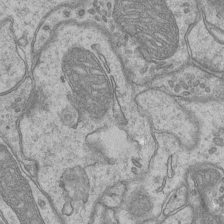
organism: Mouse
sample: CA1 Hippocampus